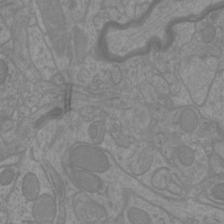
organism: Mouse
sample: Cortical neurons